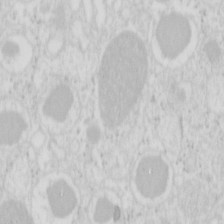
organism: Mouse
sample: Pancreas